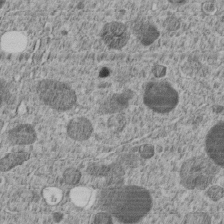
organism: C. elegans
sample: C. elegans embryo early stage